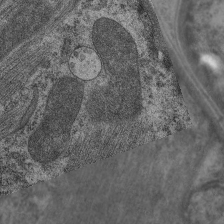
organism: C. elegans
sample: Pharynx